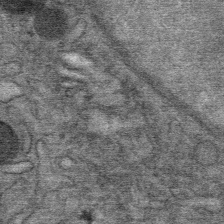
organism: Mouse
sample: Mouse Salivary gland